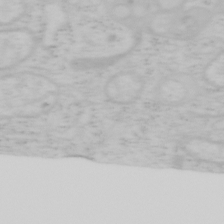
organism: Mouse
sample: OT-I killer T cells with ID8 ovarian cancer cells